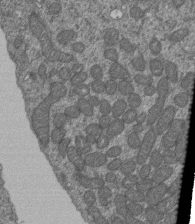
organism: Human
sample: Retinal organoid Rod and Cone cells